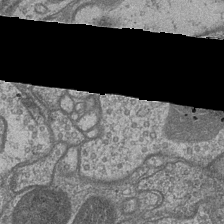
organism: Drosophila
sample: Optic medulla